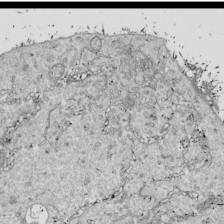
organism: Drosophila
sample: Cell division; meiosis; drosophila spermatocytes